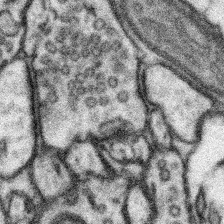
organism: Mouse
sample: Somatosensory cortex neuropil